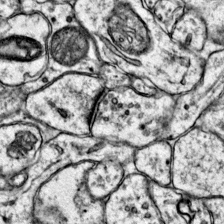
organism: Mouse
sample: Primary visual cortex